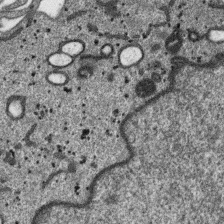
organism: Human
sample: Lung epithelial cells infected with SARS-CoV-2